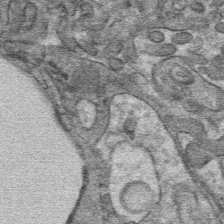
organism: Mouse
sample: Mouse hepatocytes